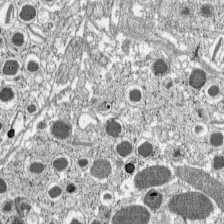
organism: C57BL Mouse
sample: Pancreatic islet